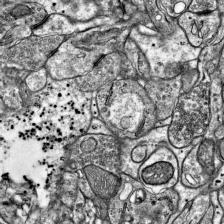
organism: Mouse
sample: Visual Cortex